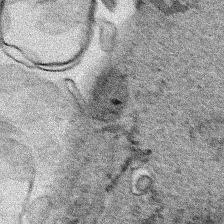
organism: Human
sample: Mitochondria in HCT116 cells